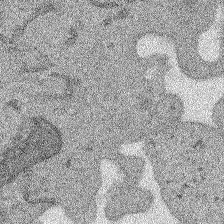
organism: Human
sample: HeLa cells